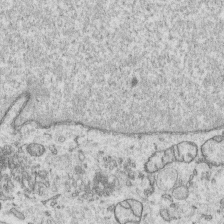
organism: Human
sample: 1205lu cells